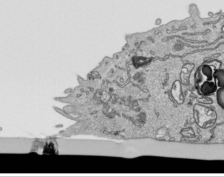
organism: Human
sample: Mitochondria in HCT116 cells